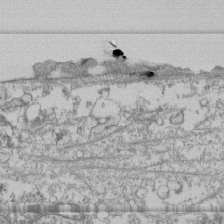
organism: Human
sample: Fibroblast cells